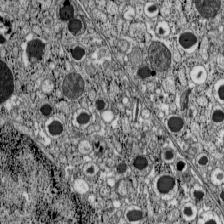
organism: C57BL Mouse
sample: Pancreatic islet